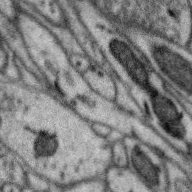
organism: Zebra finch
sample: Brain